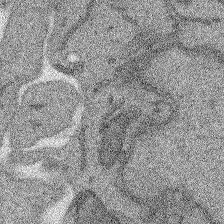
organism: Human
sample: HeLa cells